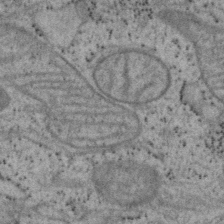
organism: Human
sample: HeLa cells